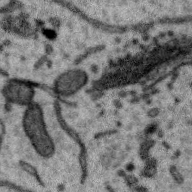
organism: Zebra finch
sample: Brain